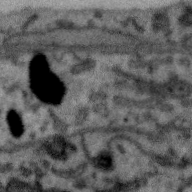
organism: Zebra finch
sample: Brain